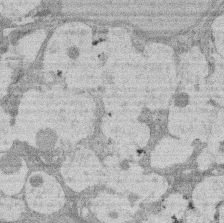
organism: Rat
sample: Salivary granule